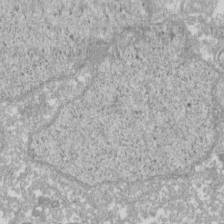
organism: Xenopus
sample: Cilia; centrioles in frog embryo cells